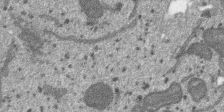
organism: Human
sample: Lung epithelial cells infected with SARS-CoV-2